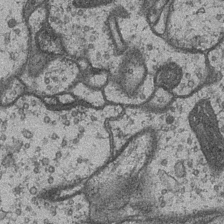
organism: Drosophila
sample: Optic medulla